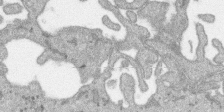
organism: Human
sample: Lung epithelial cells infected with SARS-CoV-2